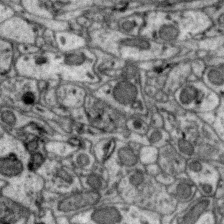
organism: Zebra finch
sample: Brain